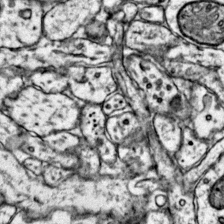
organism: Mouse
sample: Primary visual cortex